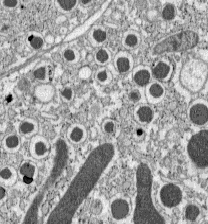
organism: C57BL Mouse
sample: Pancreatic islet